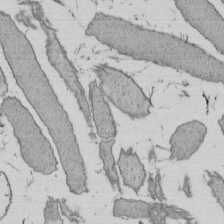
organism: E. coli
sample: Bacterial nucleoid